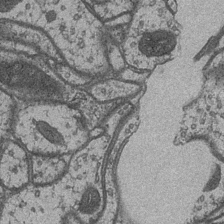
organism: Drosophila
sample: Optic medulla